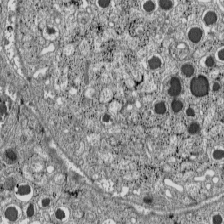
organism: C57BL Mouse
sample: Pancreatic islet